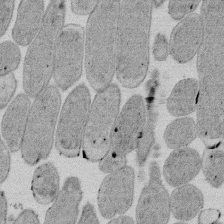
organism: E. coli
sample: Bacterial nucleoid